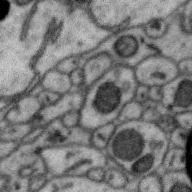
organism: Zebra finch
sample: Brain